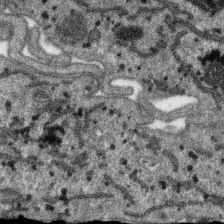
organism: Human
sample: Lung epithelial cells infected with SARS-CoV-2